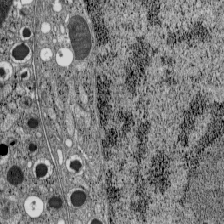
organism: C57BL Mouse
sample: Pancreatic islet